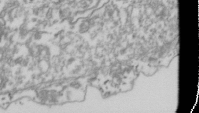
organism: Drosophila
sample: Cell division; meiosis; drosophila spermatocytes